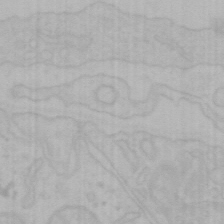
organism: Mouse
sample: Choroid plexus